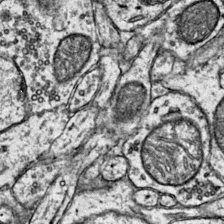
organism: Mouse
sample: Primary visual cortex